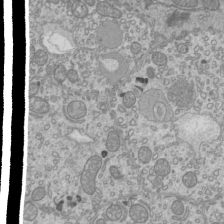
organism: Mouse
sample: Cilia; mouse epididymis